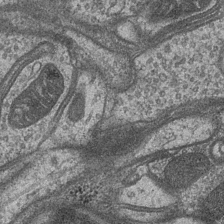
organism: Drosophila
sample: Optic medulla